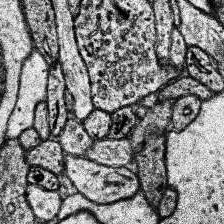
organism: Human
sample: Temporal Lobe